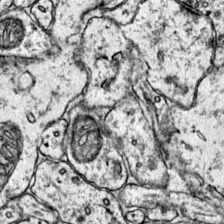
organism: Mouse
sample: Primary visual cortex